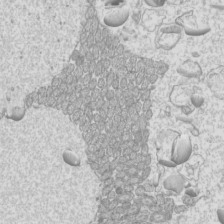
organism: Mouse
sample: Cilia; mouse epididymis